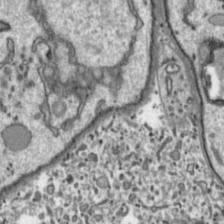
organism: Toxoplasma gondii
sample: Parasites in a vacuole inside a host cell